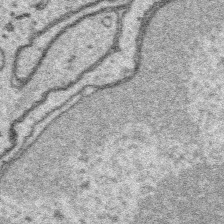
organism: Platynereis dumerilii